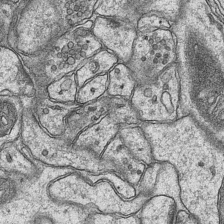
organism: Mouse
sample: CA1 Hippocampus